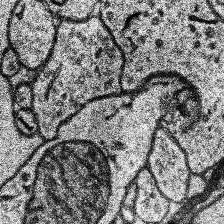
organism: Human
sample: Temporal Lobe